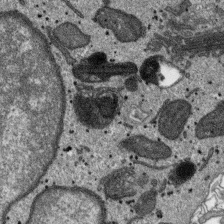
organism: Human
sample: Lung epithelial cells, uninfected (mock) control